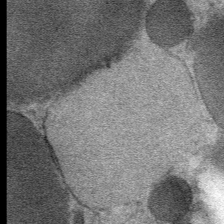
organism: Mouse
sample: Mouse Salivary gland